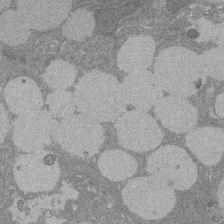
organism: Rat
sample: Salivary granule